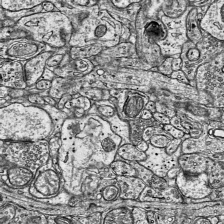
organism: Mouse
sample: Visual Cortex